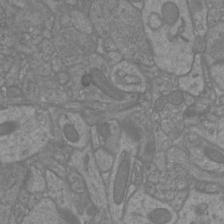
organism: Mouse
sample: Cortical neurons